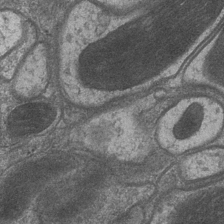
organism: Drosophila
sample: Optic medulla